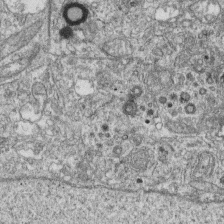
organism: Human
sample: HeLa cell HIV synapse